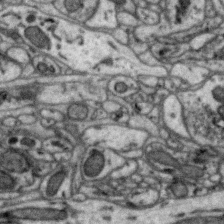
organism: Zebra finch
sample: Brain